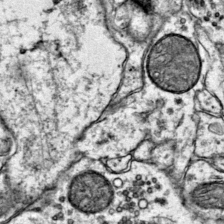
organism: Mouse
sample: Primary visual cortex